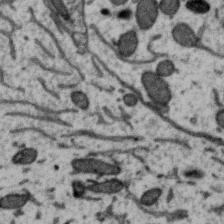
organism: Zebra finch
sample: Brain